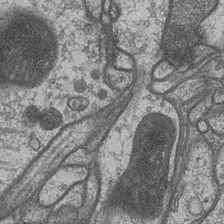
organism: Drosophila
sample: Optic medulla